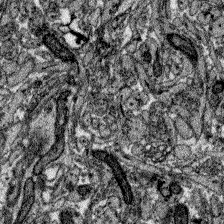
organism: Zebrafish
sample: Larval olfactory bulb